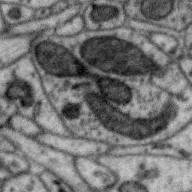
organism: Zebra finch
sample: Brain